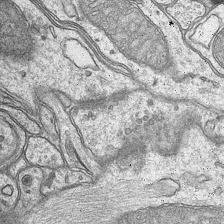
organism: Mouse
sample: CA1 Hippocampus